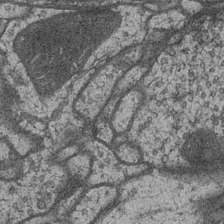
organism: Drosophila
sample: Optic medulla